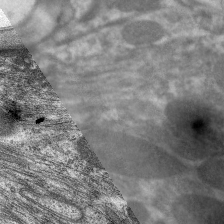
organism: C. elegans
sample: Pharynx